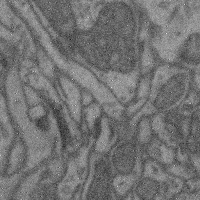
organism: Mouse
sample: Cerebral cortex